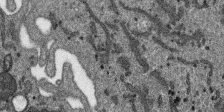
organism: Human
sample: Lung epithelial cells infected with SARS-CoV-2